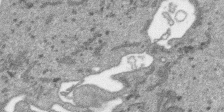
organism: Human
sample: Lung epithelial cells infected with SARS-CoV-2